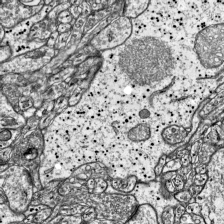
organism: Mouse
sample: Visual Cortex